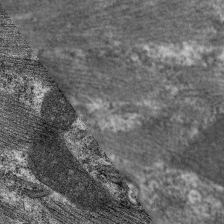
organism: C. elegans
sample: Pharynx